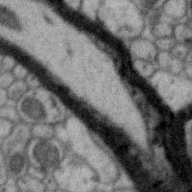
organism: Zebra finch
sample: Brain